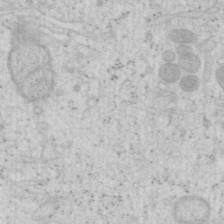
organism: Human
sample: HeLa cells